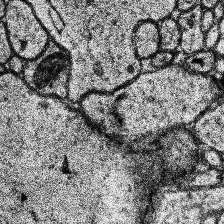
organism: Human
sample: Temporal Lobe